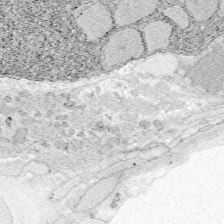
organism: Zebrafish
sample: Whole-Brain